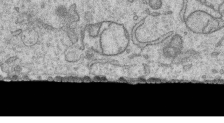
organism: Human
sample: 1205lu cells